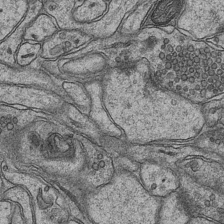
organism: Mouse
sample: CA1 Hippocampus